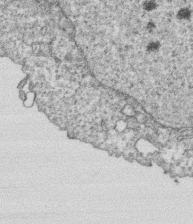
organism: Human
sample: HeLa cell HIV synapse